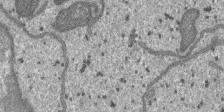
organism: Human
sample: Lung epithelial cells infected with SARS-CoV-2